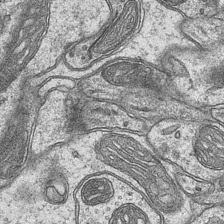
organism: Mouse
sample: CA1 Hippocampus